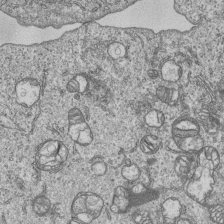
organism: Human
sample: MDA-MB-231 cells